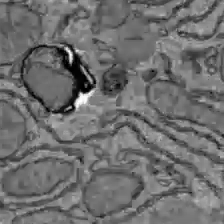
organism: C57BL Mouse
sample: Liver